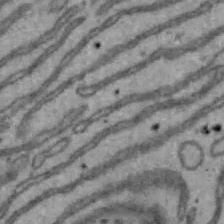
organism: Mouse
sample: Liver